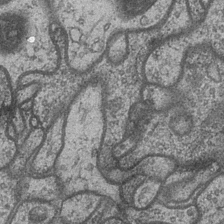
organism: Drosophila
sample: Optic medulla